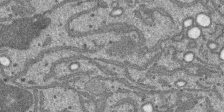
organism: Human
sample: Lung epithelial cells infected with SARS-CoV-2